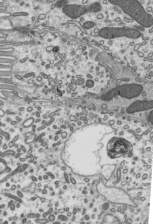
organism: Mouse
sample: Mouse epididymis efferent ductule cilia